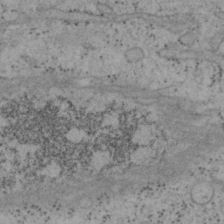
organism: Human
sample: HeLa cells